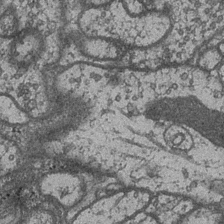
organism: Drosophila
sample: Optic medulla